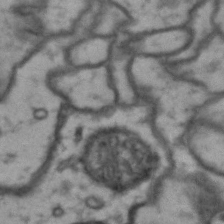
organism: Drosophila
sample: Brain